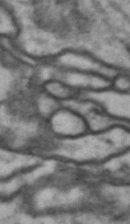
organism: Drosophila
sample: Brain